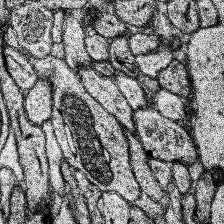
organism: Human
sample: Temporal Lobe